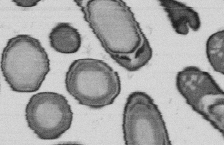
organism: B. subtilis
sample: Bacterial spore